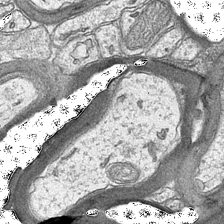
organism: Mouse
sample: CA1 Hippocampus